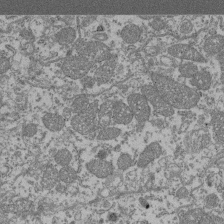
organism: Mouse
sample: Glomerulus